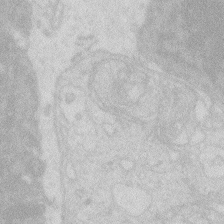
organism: Zebrafish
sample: Macrophage